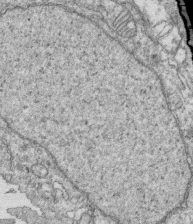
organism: Human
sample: HeLa cell HIV synapse